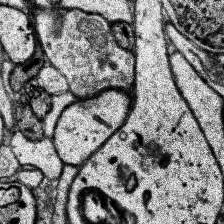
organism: Human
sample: Temporal Lobe